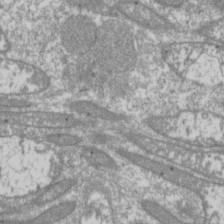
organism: Drosophila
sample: Cell division; meiosis; drosophila spermatocytes